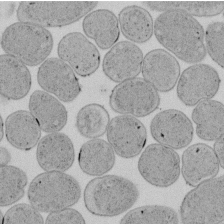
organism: E. coli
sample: Bacterial nucleoid